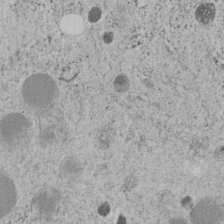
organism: C. elegans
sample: C. elegans embryo early stage